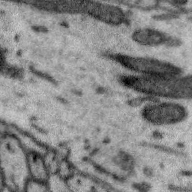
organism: Zebra finch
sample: Brain